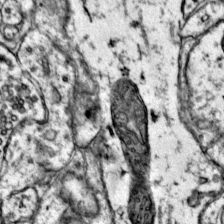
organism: Mouse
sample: Primary visual cortex